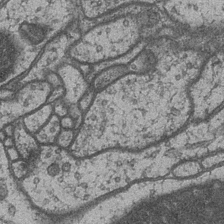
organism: Drosophila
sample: Optic medulla